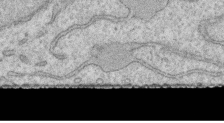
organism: Human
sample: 1205lu cells